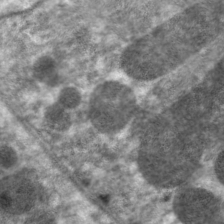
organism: C. elegans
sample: Pharynx